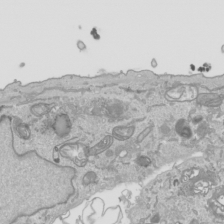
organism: Human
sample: Mitochondria in HCT116 cells